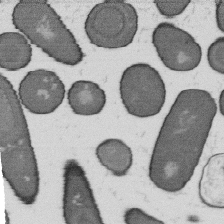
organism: B. subtilis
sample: Bacterial spore